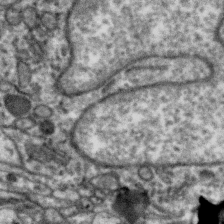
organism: Zebra finch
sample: Brain